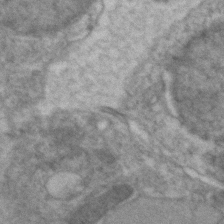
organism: Zebrafish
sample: Zebrafish embryo